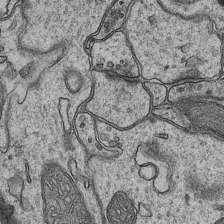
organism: Mouse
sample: CA1 Hippocampus